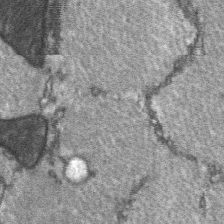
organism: C57BL Mouse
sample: Soleus